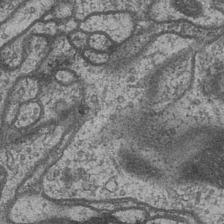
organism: Drosophila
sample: Optic medulla